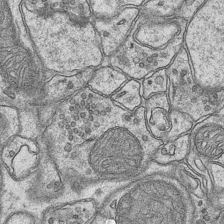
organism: Mouse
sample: CA1 Hippocampus